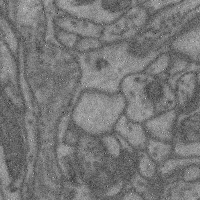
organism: Mouse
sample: Cerebral cortex